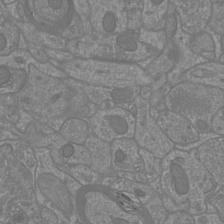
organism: Mouse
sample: Cortical neurons